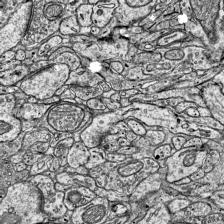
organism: Mouse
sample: Visual Cortex